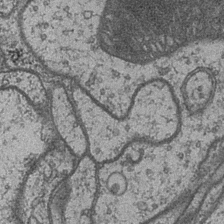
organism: Drosophila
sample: Optic medulla